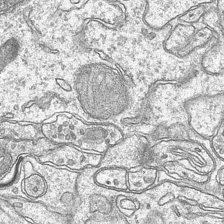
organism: Mouse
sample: CA1 Hippocampus